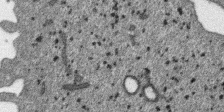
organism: Human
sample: Lung epithelial cells infected with SARS-CoV-2